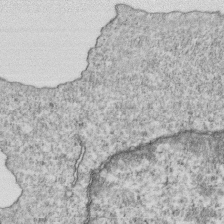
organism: Mouse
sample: Activated OT-1 CD8+ T cells